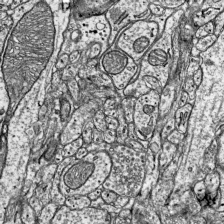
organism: Mouse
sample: Visual Cortex